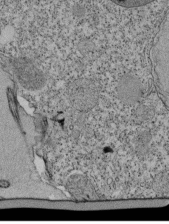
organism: Tetrahymena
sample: Cilia in tetrahymena